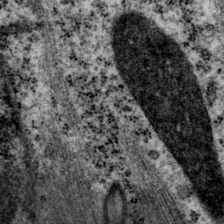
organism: P. pacificus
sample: Pharynx